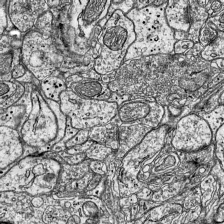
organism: Mouse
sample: Visual Cortex